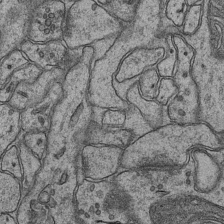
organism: Mouse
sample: CA1 Hippocampus